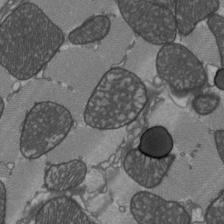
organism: C57BL Mouse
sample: Heart